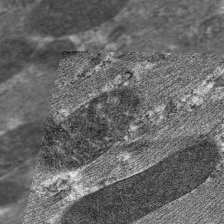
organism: C. elegans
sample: Pharynx